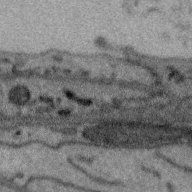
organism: Zebra finch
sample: Brain